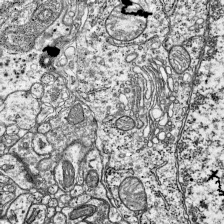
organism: Mouse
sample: Visual Cortex